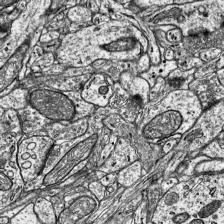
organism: Mouse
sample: Visual Cortex